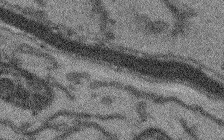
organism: Arabidopsis thaliana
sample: Root tip